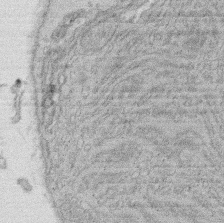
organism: Rat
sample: Salivary granule